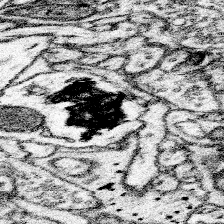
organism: Mouse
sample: Somatosensory cortex neuropil